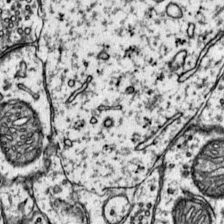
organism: Mouse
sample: Primary visual cortex